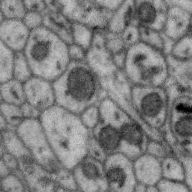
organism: Zebra finch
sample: Brain